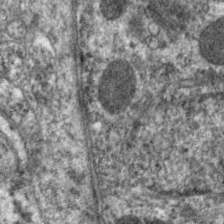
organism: C. elegans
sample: Pharynx